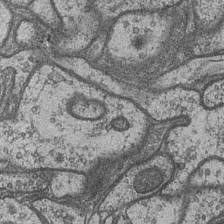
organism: Drosophila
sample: Optic medulla